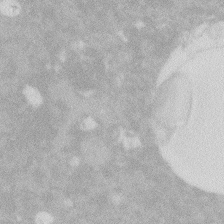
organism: Zebrafish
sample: Macrophage